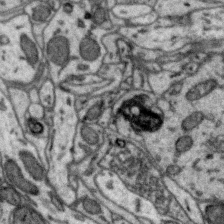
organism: Zebra finch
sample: Brain